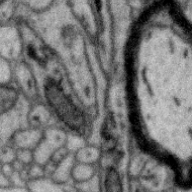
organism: Zebra finch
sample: Brain